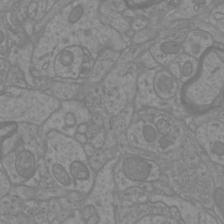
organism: Mouse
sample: Cortical neurons